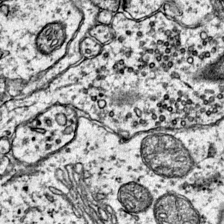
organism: Mouse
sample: Primary visual cortex